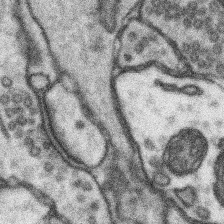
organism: Mouse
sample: Somatosensory cortex neuropil